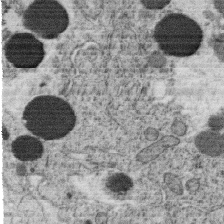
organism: C. elegans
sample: C. elegans oocyte; sperm cells